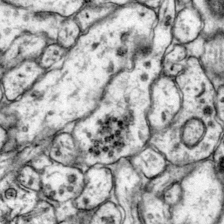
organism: Mouse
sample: Primary visual cortex